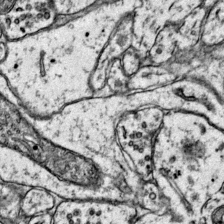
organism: Mouse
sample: Primary visual cortex